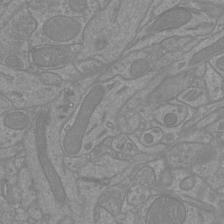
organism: Mouse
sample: Cortical neurons